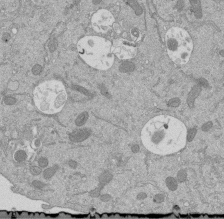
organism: Mouse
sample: ED-1 cell nuclei; centrioles